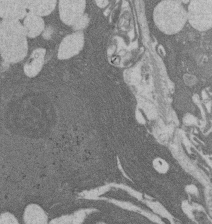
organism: Rat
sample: Salivary granule